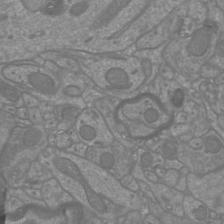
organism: Mouse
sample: Cortical neurons